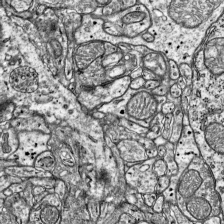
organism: Mouse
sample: Visual Cortex